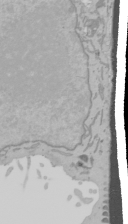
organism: Mouse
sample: Cancer cell death in ED-1 cells